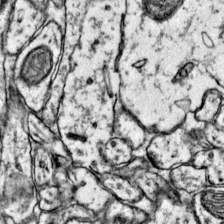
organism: Mouse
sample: Primary visual cortex